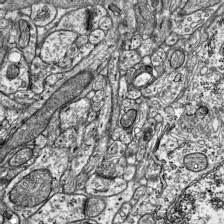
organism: Mouse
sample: Visual Cortex